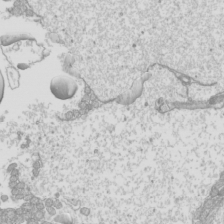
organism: Mouse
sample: Cilia; mouse epididymis